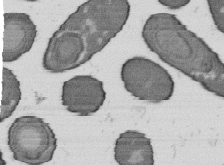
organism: B. subtilis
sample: Bacterial spore